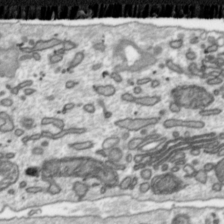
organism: Toxoplasma gondii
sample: Parasites in a vacuole inside a host cell